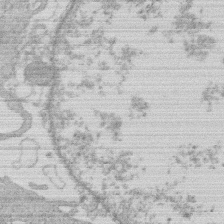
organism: Human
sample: Macrophage cells